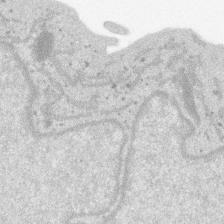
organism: Human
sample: Lung epithelial cells infected with SARS-CoV-2